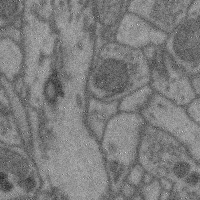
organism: Mouse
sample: Cerebral cortex